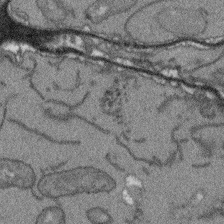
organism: Arabidopsis thaliana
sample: Root tip